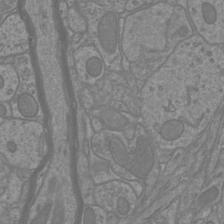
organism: Mouse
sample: Cortical neurons